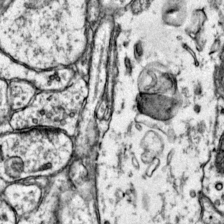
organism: Mouse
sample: Primary visual cortex